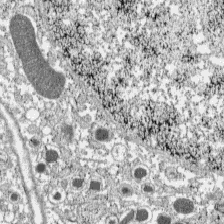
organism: C57BL Mouse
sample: Pancreatic islet